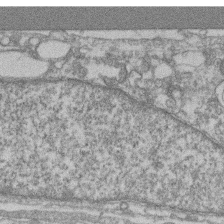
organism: Mouse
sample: T cell stromal cell synapse